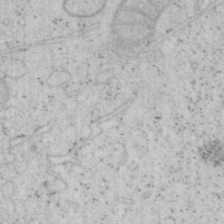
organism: Human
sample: HeLa cells